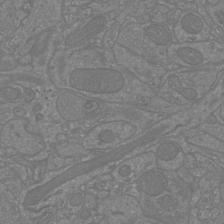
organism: Mouse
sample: Cortical neurons